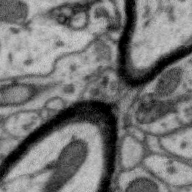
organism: Zebra finch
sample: Brain